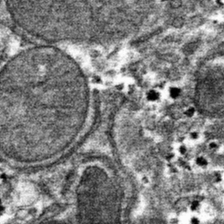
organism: Mouse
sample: Mouse hepatocytes